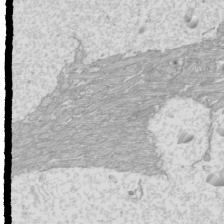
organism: Mouse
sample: Cilia; mouse epididymis